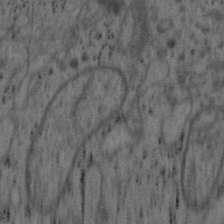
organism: Human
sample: HeLa cells